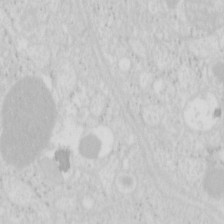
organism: Mouse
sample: Pancreas